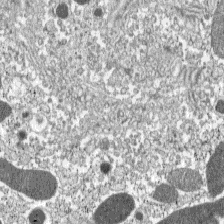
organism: C57BL Mouse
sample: Pancreatic islet